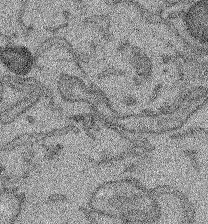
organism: Human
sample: HeLa cells